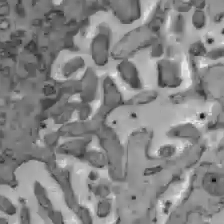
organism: C57BL Mouse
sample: Liver